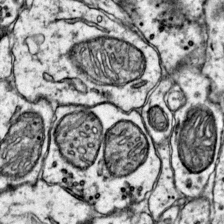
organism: Mouse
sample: Primary visual cortex